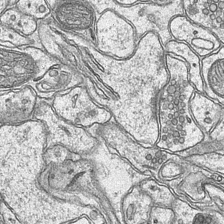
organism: Mouse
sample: CA1 Hippocampus